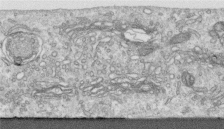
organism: Human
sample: Centriole in RPE cells